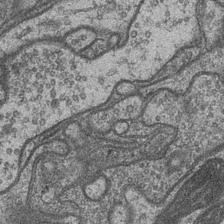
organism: Drosophila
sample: Optic medulla